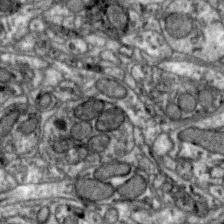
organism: Zebra finch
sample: Brain